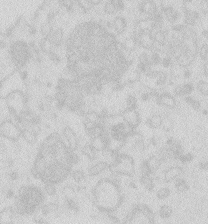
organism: Zebrafish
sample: Macrophage